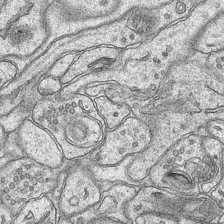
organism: Mouse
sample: CA1 Hippocampus